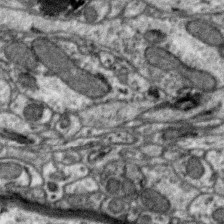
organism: Zebra finch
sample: Brain